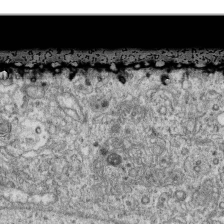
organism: Human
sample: HeLa cell HIV synapse